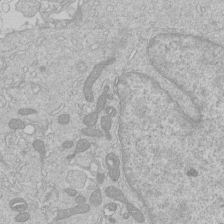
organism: Human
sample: Macrophage cells